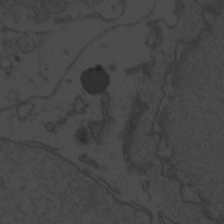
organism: Zebrafish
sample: Macrophage infected with Toxoplasma gondii